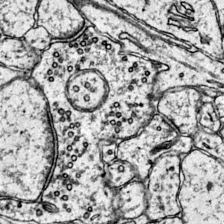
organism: Mouse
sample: Primary visual cortex